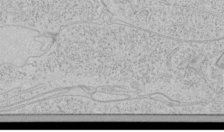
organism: Human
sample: Mitochondria in HCT116 cells